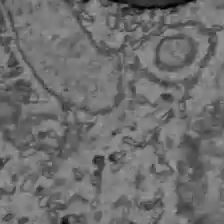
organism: C57BL Mouse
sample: Liver